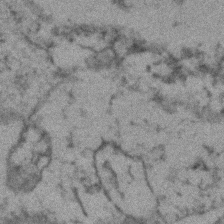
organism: Zebrafish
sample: Zebrafish embryo